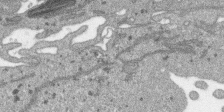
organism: Human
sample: Lung epithelial cells infected with SARS-CoV-2